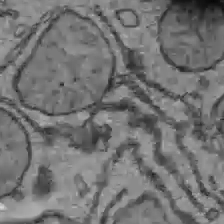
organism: C57BL Mouse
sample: Liver